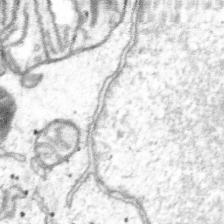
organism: Human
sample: HeLa cells